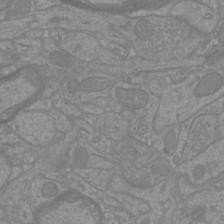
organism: Mouse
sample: Cortical neurons